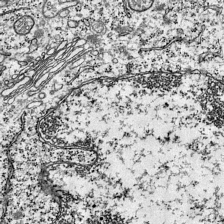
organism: Mouse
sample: Visual Cortex